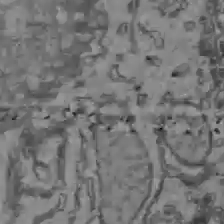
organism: C57BL Mouse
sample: Liver